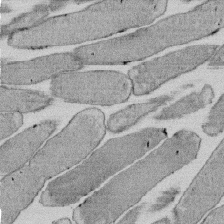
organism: E. coli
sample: Bacterial nucleoid